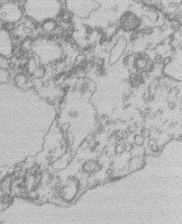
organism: Mouse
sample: T cell stromal cell synapse